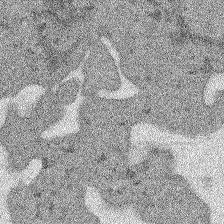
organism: Human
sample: HeLa cells